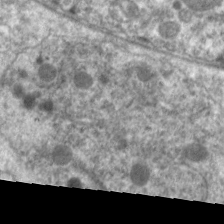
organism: C. elegans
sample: Pharynx